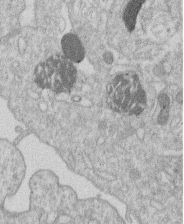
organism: Human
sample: Macrophage cells